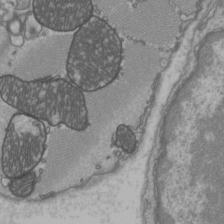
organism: C57BL Mouse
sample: Heart